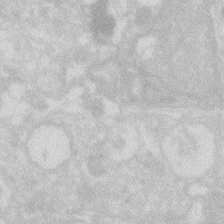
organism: Zebrafish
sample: Macrophage